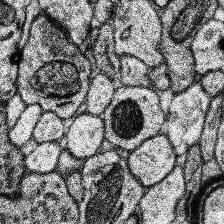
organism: Human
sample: Temporal Lobe